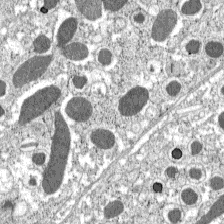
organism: C57BL Mouse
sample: Pancreatic islet